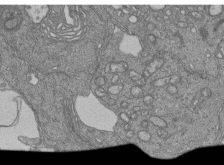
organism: Human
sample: Retinal organoid Rod and Cone cells